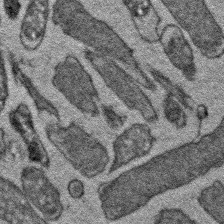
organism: E. coli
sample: E. Coli Bacteria